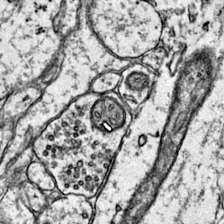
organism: Mouse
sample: Primary visual cortex